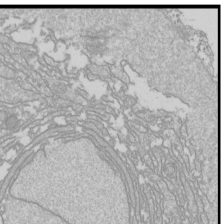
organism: Drosophila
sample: Cell division; meiosis; drosophila spermatocytes